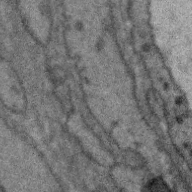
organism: Zebra finch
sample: Brain